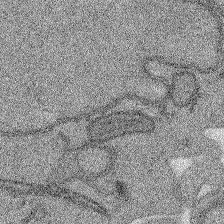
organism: Human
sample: HeLa cells